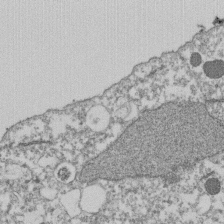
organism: Dictyostelium discoideum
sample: Dictyostelium multivesicular bodies